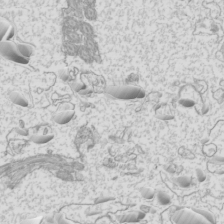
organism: Mouse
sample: Cilia; mouse epididymis